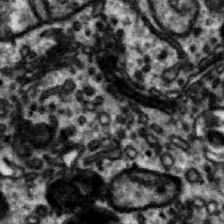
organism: Human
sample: HeLa cells